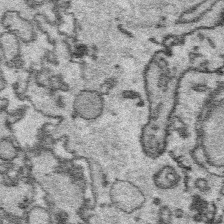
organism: Platynereis dumerilii